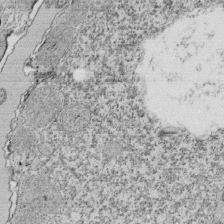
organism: Tetrahymena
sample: Cilia in tetrahymena